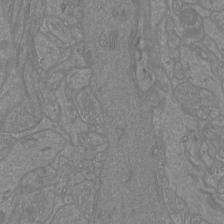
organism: Mouse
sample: Cortical neurons